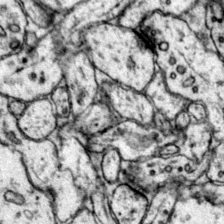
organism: Mouse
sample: Primary visual cortex